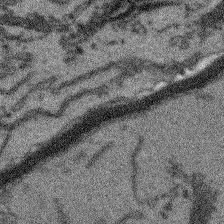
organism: Arabidopsis thaliana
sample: Root tip